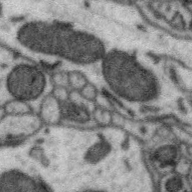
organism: Zebra finch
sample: Brain